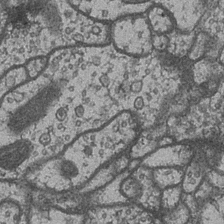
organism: Drosophila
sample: Optic medulla